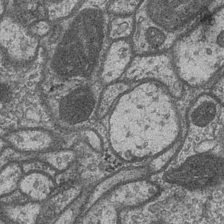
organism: Drosophila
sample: Optic medulla